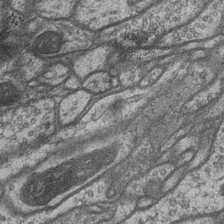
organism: Drosophila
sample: Optic medulla